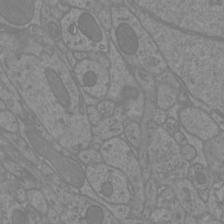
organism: Mouse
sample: Cortical neurons